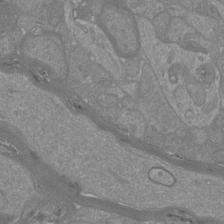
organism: Mouse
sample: Cortical neurons